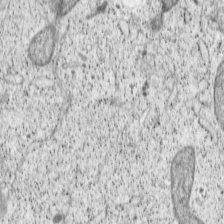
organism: African green monkey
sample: COS-7 cells